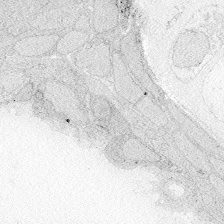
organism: Zebrafish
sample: Whole-Brain